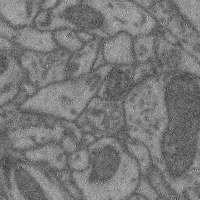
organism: Mouse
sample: Cerebral cortex